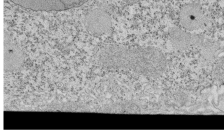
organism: Tetrahymena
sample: Cilia in tetrahymena